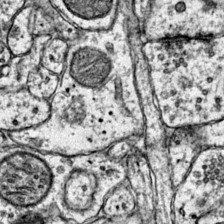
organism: Mouse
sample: Primary visual cortex